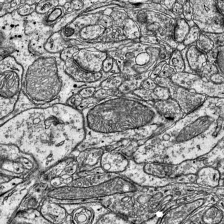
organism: Mouse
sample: Visual Cortex